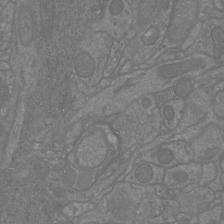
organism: Mouse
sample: Cortical neurons